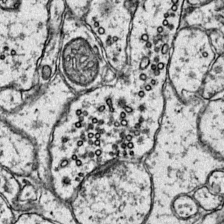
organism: Mouse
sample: Primary visual cortex